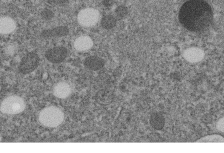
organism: C. elegans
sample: C. elegans embryo early stage